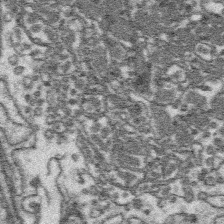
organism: Platynereis dumerilii